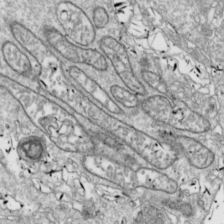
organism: Drosophila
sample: Cell division; meiosis; drosophila spermatocytes